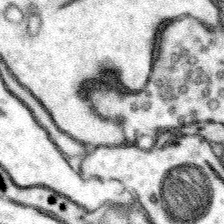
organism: Mouse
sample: Somatosensory cortex neuropil